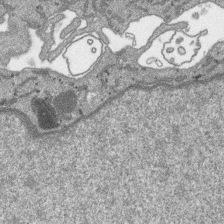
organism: Human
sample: Lung epithelial cells infected with SARS-CoV-2